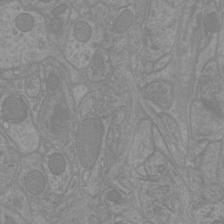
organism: Mouse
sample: Cortical neurons